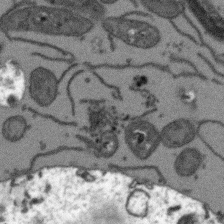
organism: Arabidopsis thaliana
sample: Root tip